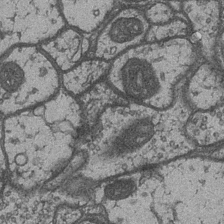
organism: Drosophila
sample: Optic medulla